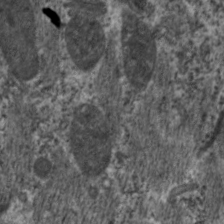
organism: C. elegans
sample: Pharynx